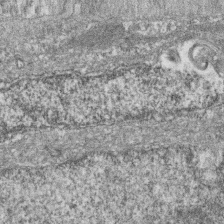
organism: Zebrafish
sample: Cilia; retinal pigment epithelium